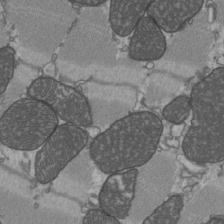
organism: C57BL Mouse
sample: Heart